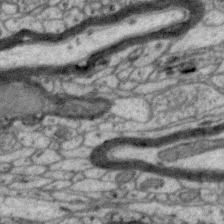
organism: Zebra finch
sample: Brain